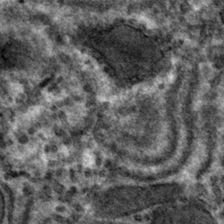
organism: Mouse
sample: Mouse hepatocytes